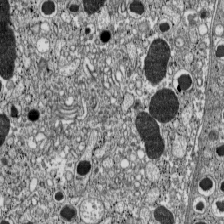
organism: C57BL Mouse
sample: Pancreatic islet